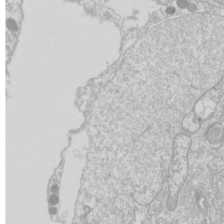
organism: Drosophila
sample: Cell division; meiosis; drosophila spermatocytes